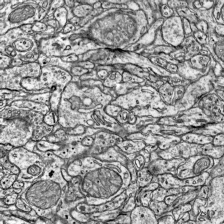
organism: Mouse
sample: Visual Cortex